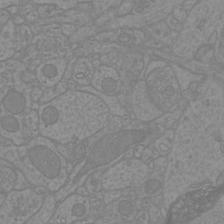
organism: Mouse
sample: Cortical neurons